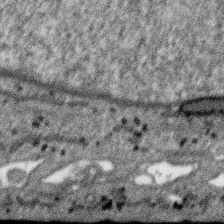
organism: Human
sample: Lung epithelial cells infected with SARS-CoV-2